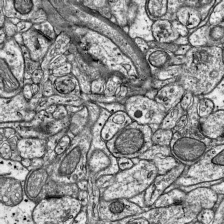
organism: Mouse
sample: Visual Cortex